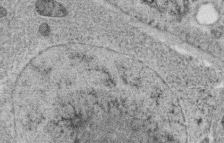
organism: C. elegans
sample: C. elegans oocyte; sperm cells